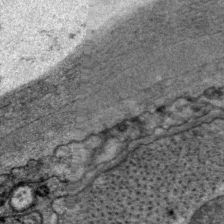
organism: P. pacificus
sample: Pharynx